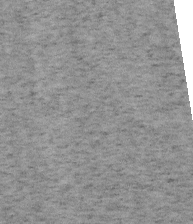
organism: Mouse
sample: OT-I killer T cells with ID8 ovarian cancer cells